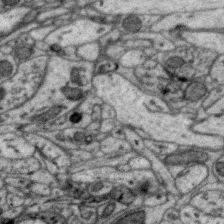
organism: Zebra finch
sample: Brain